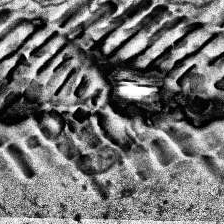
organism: Human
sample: Temporal Lobe